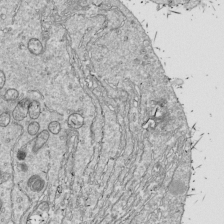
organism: Drosophila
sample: Cell division; meiosis; drosophila spermatocytes